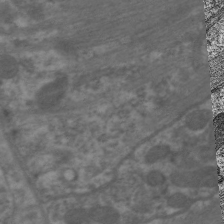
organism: C. elegans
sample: Pharynx